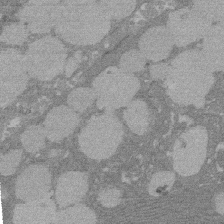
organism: Rat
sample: Salivary granule